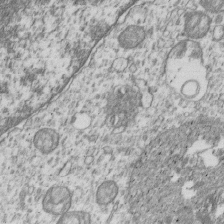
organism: Human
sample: MDA-MB-231 cells